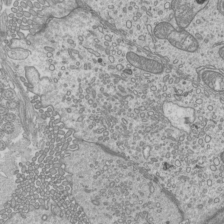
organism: Mouse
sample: Cilia; mouse epididymis